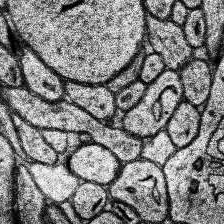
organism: Human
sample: Temporal Lobe